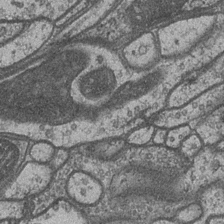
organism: Drosophila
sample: Optic medulla